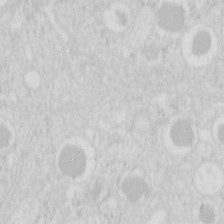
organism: Mouse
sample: Pancreas